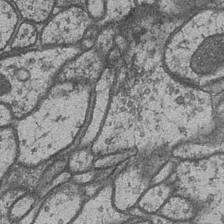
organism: Drosophila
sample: Optic medulla